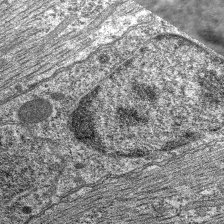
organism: C. elegans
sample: Pharynx